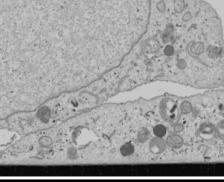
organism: Human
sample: Mitochondria in U2OS cells